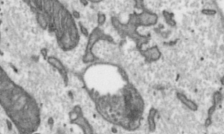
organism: Toxoplasma gondii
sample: Parasites in a vacuole inside a host cell